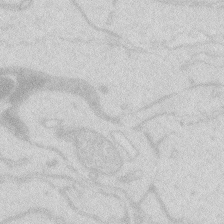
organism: Zebrafish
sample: Macrophage